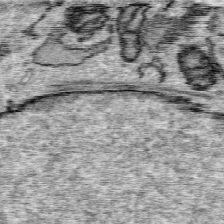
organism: Human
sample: HeLa cells